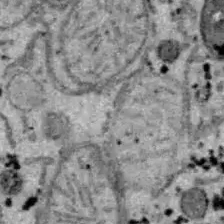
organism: Mouse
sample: Liver from an obese (ob/ob) mouse